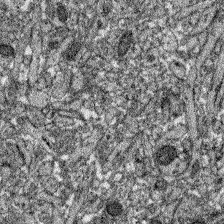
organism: Zebrafish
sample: Larval olfactory bulb